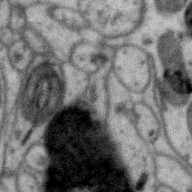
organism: Zebra finch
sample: Brain